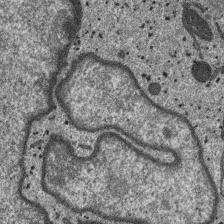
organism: Human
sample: Lung epithelial cells infected with SARS-CoV-2